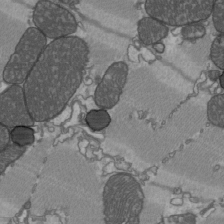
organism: C57BL Mouse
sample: Heart